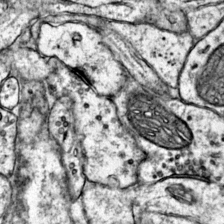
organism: Mouse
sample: Primary visual cortex